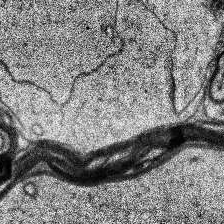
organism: Human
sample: Temporal Lobe